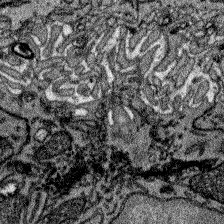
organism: Zebrafish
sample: Larval olfactory bulb